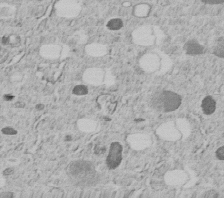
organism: C. elegans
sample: C. elegans embryo early stage